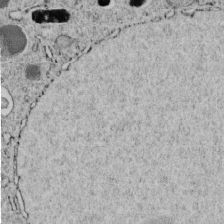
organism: C. elegans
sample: C. elegans embryo early stage